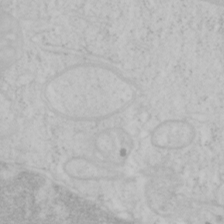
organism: Mouse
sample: OT-I killer T cells with ID8 ovarian cancer cells